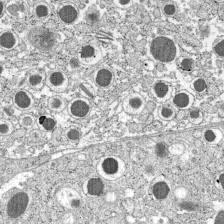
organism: C57BL Mouse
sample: Pancreatic islet